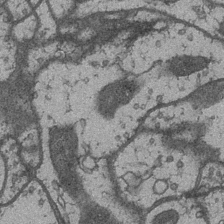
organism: Drosophila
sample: Optic medulla